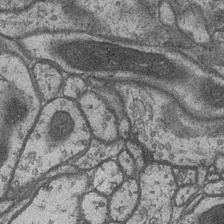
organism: Drosophila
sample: Optic medulla